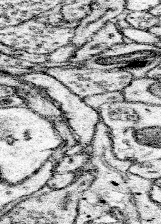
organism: Mouse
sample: Somatosensory cortex neuropil